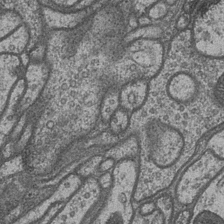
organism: Drosophila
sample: Optic medulla